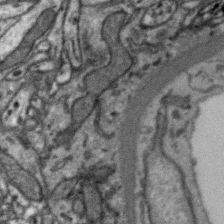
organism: Zebra finch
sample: Brain